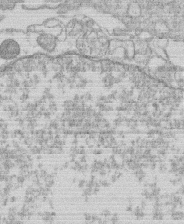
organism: Human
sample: Macrophage cells